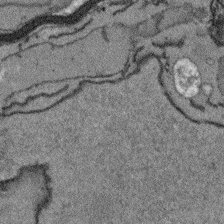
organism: Arabidopsis thaliana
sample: Root tip